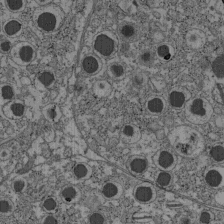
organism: C57BL Mouse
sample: Pancreatic islet